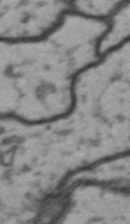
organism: Drosophila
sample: Brain